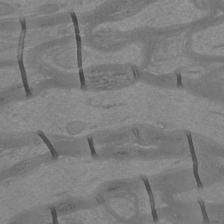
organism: Mouse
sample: Cortical neurons